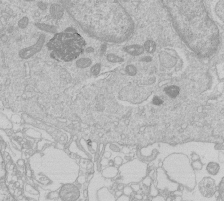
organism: Human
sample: Macrophage cells